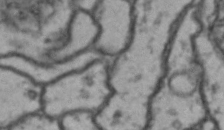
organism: Drosophila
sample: Brain